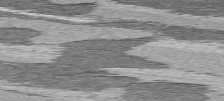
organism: C57BL Mouse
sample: Heart